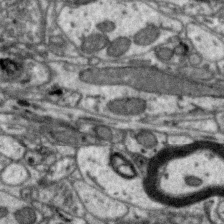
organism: Zebra finch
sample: Brain